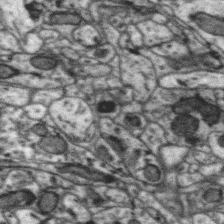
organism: Zebra finch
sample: Brain